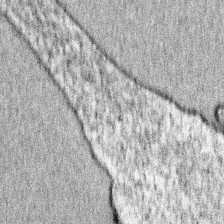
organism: Human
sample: HeLa cells